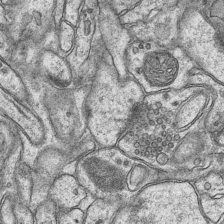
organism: Mouse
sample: CA1 Hippocampus